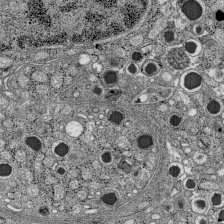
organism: C57BL Mouse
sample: Pancreatic islet